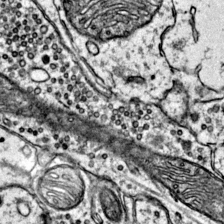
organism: Mouse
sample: Primary visual cortex